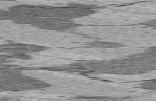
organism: C57BL Mouse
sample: Heart